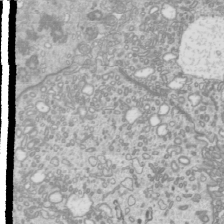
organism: Mouse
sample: Cilia; mouse epididymis